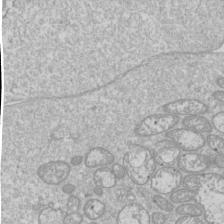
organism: Drosophila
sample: Cell division; meiosis; drosophila spermatocytes